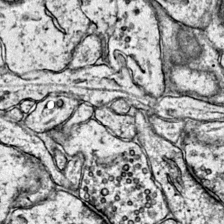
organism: Mouse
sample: Primary visual cortex